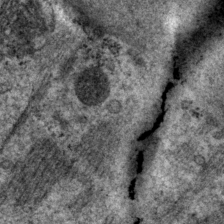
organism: P. pacificus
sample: Pharynx